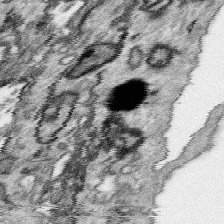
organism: Human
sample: HeLa cells